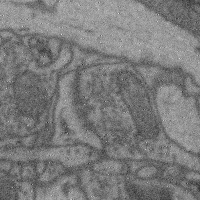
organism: Mouse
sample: Cerebral cortex